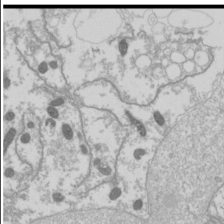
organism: Drosophila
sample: Cell division; meiosis; drosophila spermatocytes